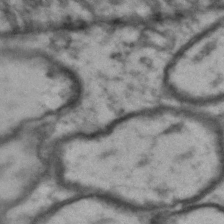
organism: Drosophila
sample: Brain